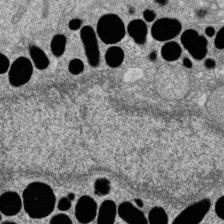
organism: Zebrafish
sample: Cilia; retinal pigment epithelium